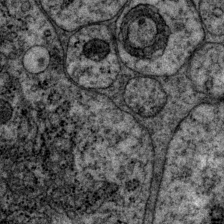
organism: P. pacificus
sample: Pharynx